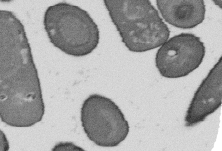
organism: B. subtilis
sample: Bacterial spore